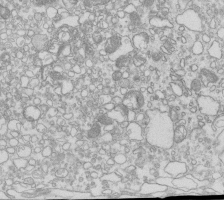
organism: Mouse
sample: Macrophages